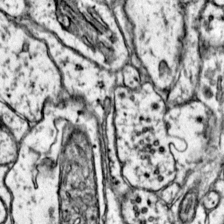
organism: Mouse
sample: Primary visual cortex